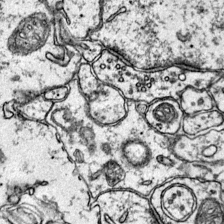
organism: Mouse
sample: Primary visual cortex